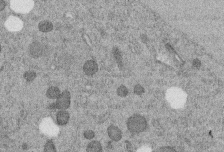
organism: C. elegans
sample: C. elegans embryo early stage